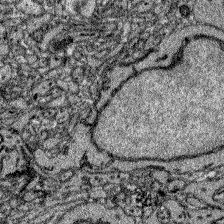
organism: Zebrafish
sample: Larval olfactory bulb